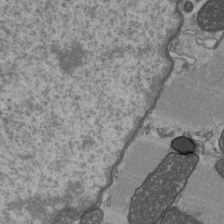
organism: C57BL Mouse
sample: Heart